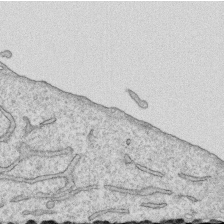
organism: Human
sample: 1205lu cells